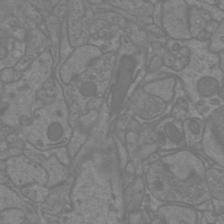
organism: Mouse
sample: Cortical neurons